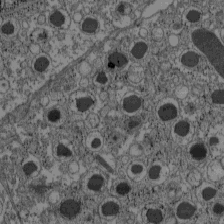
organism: C57BL Mouse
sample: Pancreatic islet